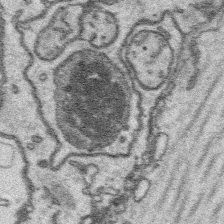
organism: Platynereis dumerilii